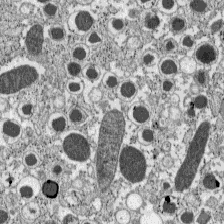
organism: C57BL Mouse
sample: Pancreatic islet